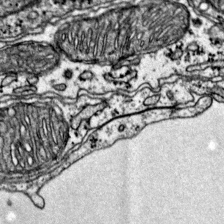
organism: Mouse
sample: Primary visual cortex